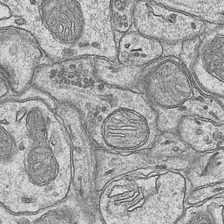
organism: Mouse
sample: CA1 Hippocampus